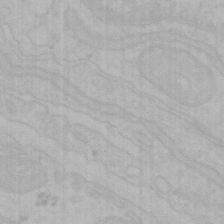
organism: Mouse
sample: Choroid plexus